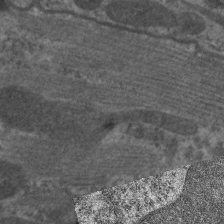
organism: C. elegans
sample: Pharynx